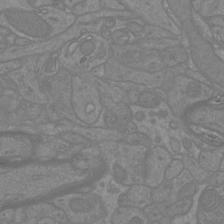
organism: Mouse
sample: Cortical neurons